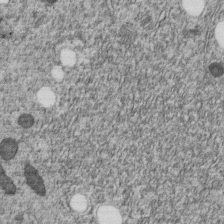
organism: C. elegans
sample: C. elegans embryo early stage